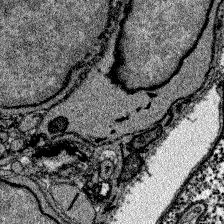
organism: Zebrafish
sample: Larval olfactory bulb